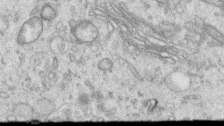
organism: Human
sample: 1205lu cells